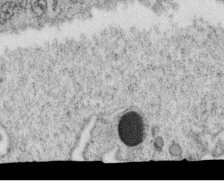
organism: C. elegans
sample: C. elegans oocyte; sperm cells